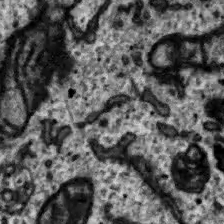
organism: Human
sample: HeLa cells